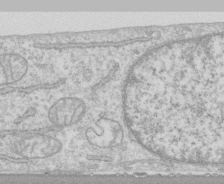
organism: Human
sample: CRL-1474